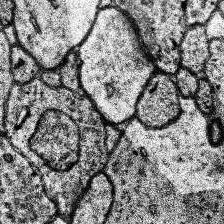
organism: Human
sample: Temporal Lobe